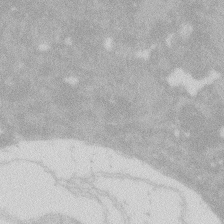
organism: Zebrafish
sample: Macrophage